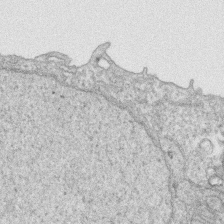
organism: Human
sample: HeLa cell HIV synapse